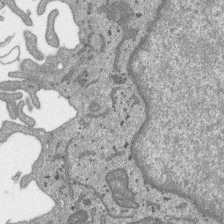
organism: Human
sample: Lung epithelial cells infected with SARS-CoV-2